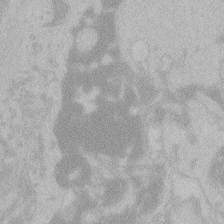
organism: Zebrafish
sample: Macrophage infected with Toxoplasma gondii